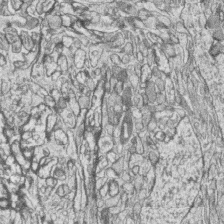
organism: Zebrafish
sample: synaptic ribbons in rod cells and cone cells